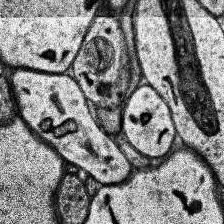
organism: Human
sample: Temporal Lobe